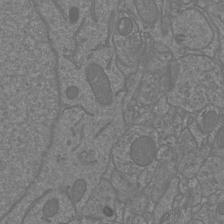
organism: Mouse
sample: Cortical neurons